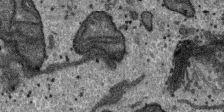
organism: Human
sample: Lung epithelial cells, uninfected (mock) control